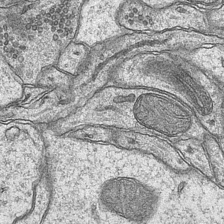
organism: Mouse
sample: CA1 Hippocampus